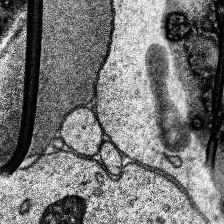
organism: Human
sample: Temporal Lobe